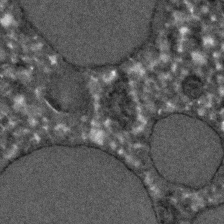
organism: C. elegans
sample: C. elegans embryo